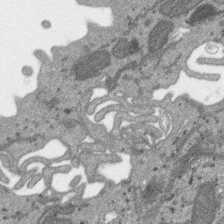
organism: Human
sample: Lung epithelial cells infected with SARS-CoV-2